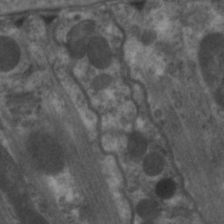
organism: C. elegans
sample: Pharynx